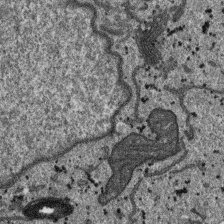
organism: Human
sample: Lung epithelial cells infected with SARS-CoV-2